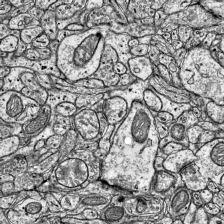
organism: Mouse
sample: Visual Cortex